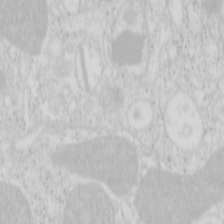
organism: Mouse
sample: Pancreas